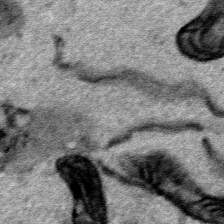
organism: Human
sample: Mitochondria in HCT116 cells